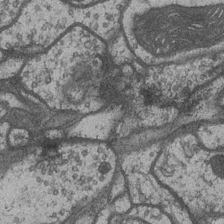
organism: Drosophila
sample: Optic medulla